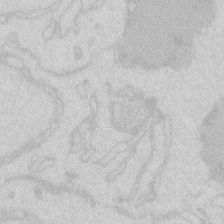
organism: Zebrafish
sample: Macrophage